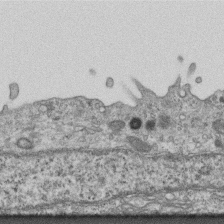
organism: Mouse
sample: Centriole in ependymal cells